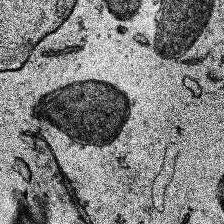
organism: Human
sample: Temporal Lobe